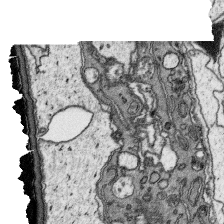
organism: Platynereis dumerilii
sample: Parapodia